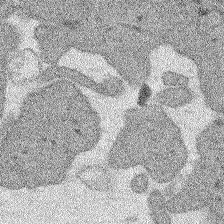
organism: Human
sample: HeLa cells